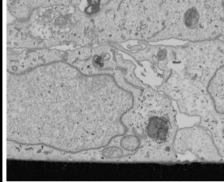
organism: Human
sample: Mitochondria in U2OS cells